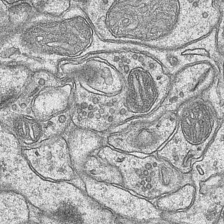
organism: Mouse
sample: CA1 Hippocampus